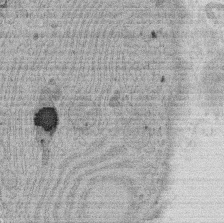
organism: Rat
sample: Salivary granule